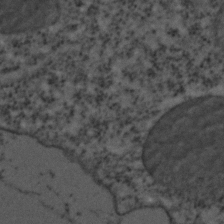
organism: C. elegans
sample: C. elegans embryo